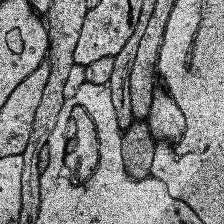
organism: Human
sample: Temporal Lobe